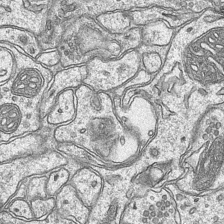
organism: Mouse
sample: CA1 Hippocampus